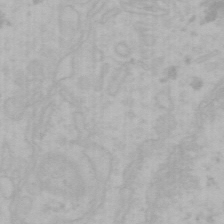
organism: Mouse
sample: Choroid plexus